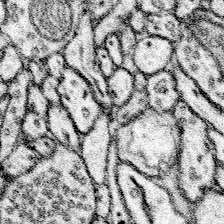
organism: Mouse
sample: Somatosensory cortex neuropil